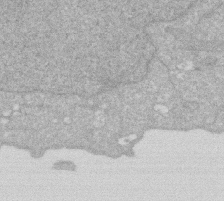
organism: Human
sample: HIV infected U937 cells